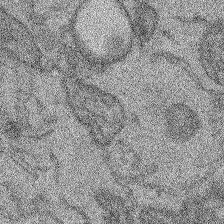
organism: Human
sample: HeLa cells